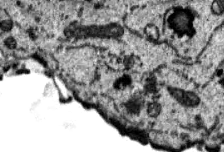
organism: Human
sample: HeLa cells